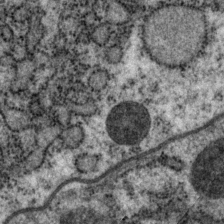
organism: P. pacificus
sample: Pharynx